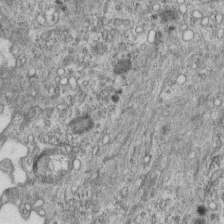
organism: Mouse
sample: Centriole in ependymal cells